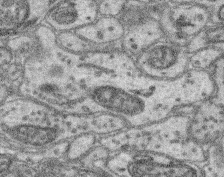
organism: Mouse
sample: Retina